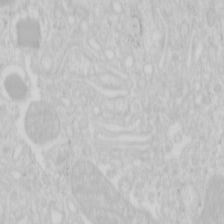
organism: Mouse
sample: Pancreas